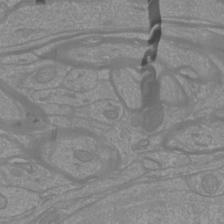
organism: Mouse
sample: Cortical neurons